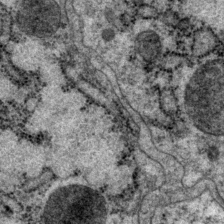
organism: P. pacificus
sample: Pharynx